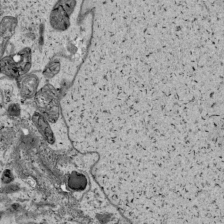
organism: Human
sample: Mitochondria in HCT116 cells